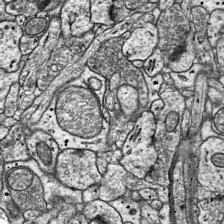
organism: Mouse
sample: Visual Cortex